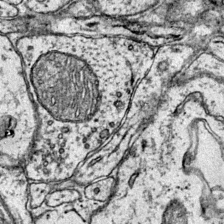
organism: Mouse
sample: Primary visual cortex